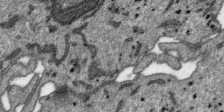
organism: Human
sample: Lung epithelial cells, uninfected (mock) control